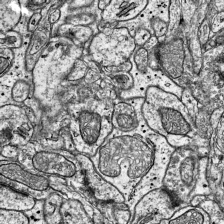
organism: Mouse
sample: Visual Cortex